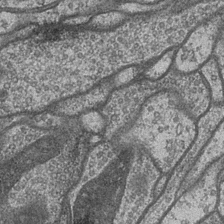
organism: Drosophila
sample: Optic medulla